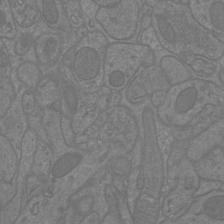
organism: Mouse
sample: Cortical neurons